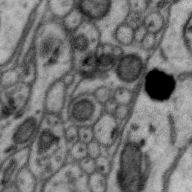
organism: Zebra finch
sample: Brain